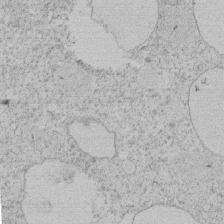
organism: Tetrahymena